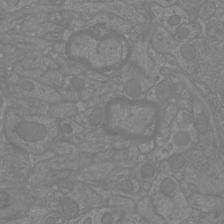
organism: Mouse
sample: Cortical neurons